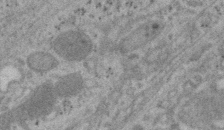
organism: Human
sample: HeLa cells